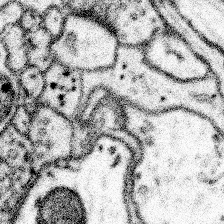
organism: Mouse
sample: Somatosensory cortex neuropil